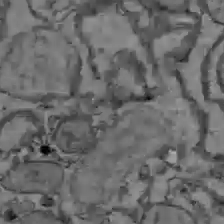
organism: C57BL Mouse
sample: Liver